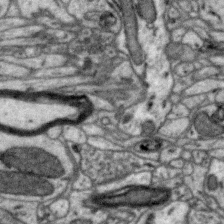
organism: Zebra finch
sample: Brain